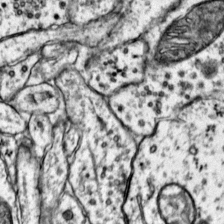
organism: Mouse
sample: Primary visual cortex